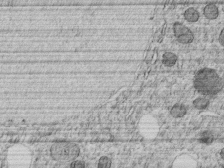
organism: C. elegans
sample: C. elegans embryo early stage